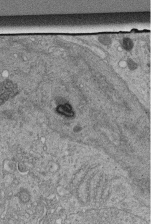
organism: Human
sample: Retinal organoid Rod and Cone cells